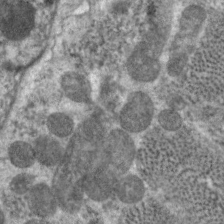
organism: C. elegans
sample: Pharynx